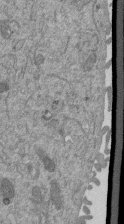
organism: Mouse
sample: ED-1 cell nuclei; centrioles